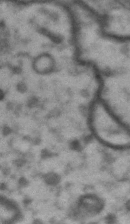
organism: Drosophila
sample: Brain